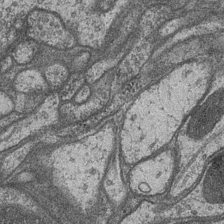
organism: Drosophila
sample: Optic medulla